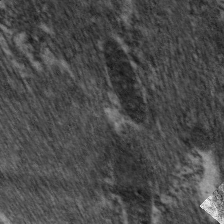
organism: C. elegans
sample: Pharynx